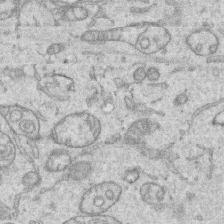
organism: Human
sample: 1205lu cells